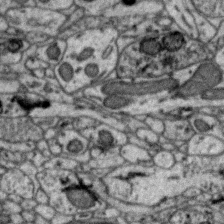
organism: Zebra finch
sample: Brain